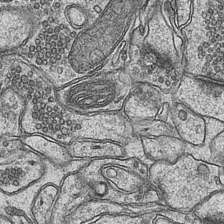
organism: Mouse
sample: CA1 Hippocampus